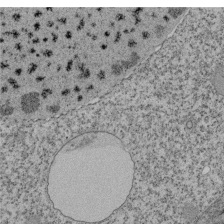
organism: Tetrahymena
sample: Cilia in tetrahymena